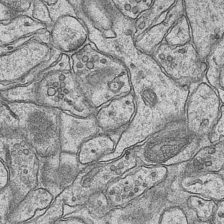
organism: Mouse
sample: CA1 Hippocampus